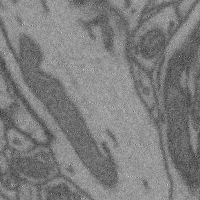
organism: Mouse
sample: Cerebral cortex